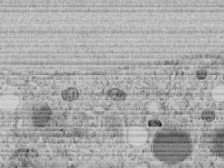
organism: C. elegans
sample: C. elegans embryo early stage